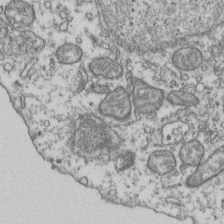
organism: Human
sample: Activated Jurkat CD4+ T cells